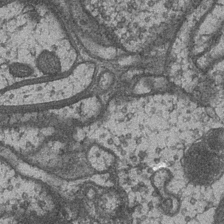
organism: Drosophila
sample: Optic medulla